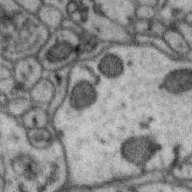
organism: Zebra finch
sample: Brain